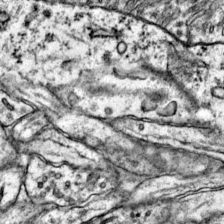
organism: Mouse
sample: Primary visual cortex